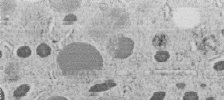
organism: C. elegans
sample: C. elegans embryo early stage